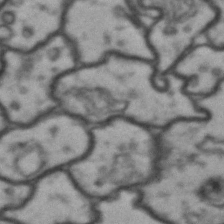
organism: Drosophila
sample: Brain